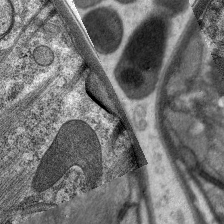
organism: C. elegans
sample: Pharynx